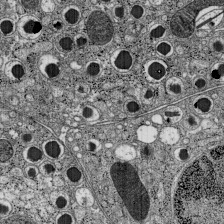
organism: C57BL Mouse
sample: Pancreatic islet